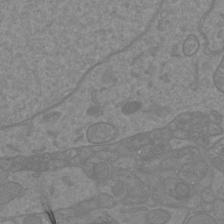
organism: Mouse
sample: Cortical neurons